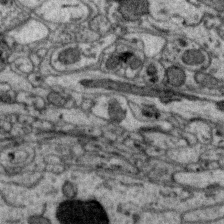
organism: Zebra finch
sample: Brain